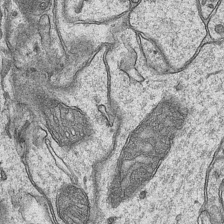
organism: Mouse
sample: CA1 Hippocampus